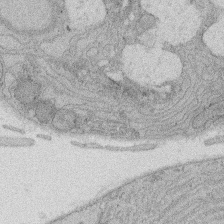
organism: Rat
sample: Salivary granule